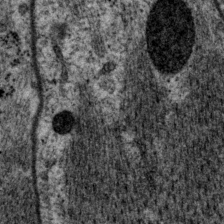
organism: P. pacificus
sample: Pharynx